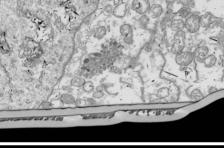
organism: Drosophila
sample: Cell division; meiosis; drosophila spermatocytes